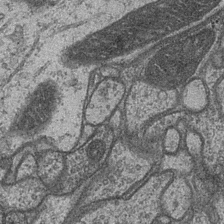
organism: Drosophila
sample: Optic medulla